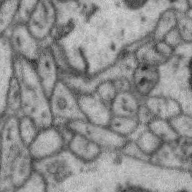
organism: Zebra finch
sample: Brain